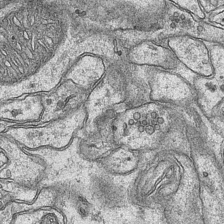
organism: Mouse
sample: CA1 Hippocampus